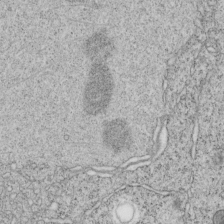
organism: C. elegans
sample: C. elegans embryo early stage